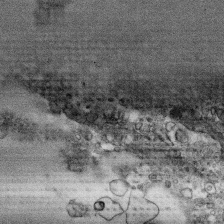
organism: Human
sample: CRL-1474